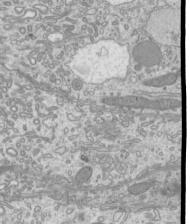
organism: Mouse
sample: Cilia; mouse epididymis